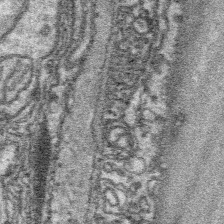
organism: Platynereis dumerilii